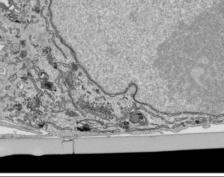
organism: Human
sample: Mitochondria in HCT116 cells